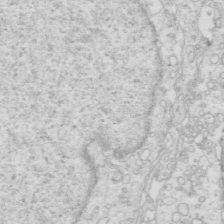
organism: Mouse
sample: Multiciliated cells